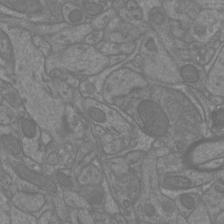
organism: Mouse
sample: Cortical neurons